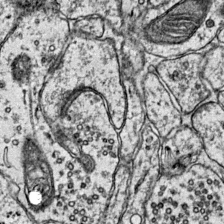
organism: Mouse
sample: Primary visual cortex